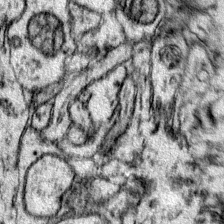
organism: Mouse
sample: Primary visual cortex